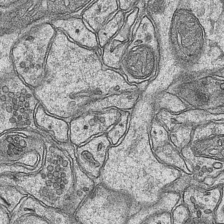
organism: Mouse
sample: CA1 Hippocampus